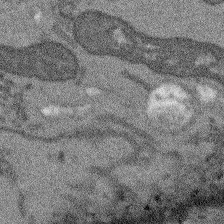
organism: Arabidopsis thaliana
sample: Root tip